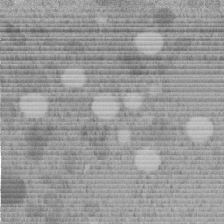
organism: C. elegans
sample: C. elegans embryo early stage